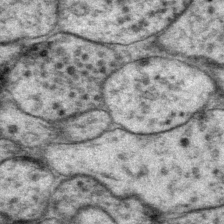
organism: P. pacificus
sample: Pharynx